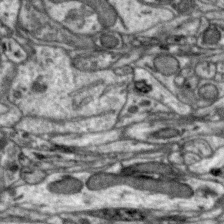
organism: Zebra finch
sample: Brain